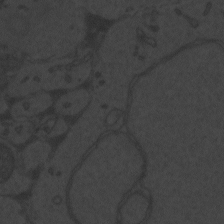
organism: Zebrafish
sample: Macrophage infected with Toxoplasma gondii